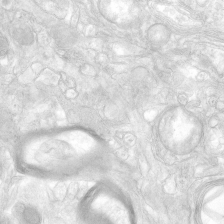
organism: Human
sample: Neocortex